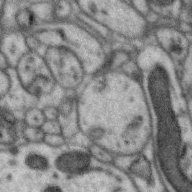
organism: Zebra finch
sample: Brain